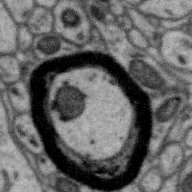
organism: Zebra finch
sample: Brain